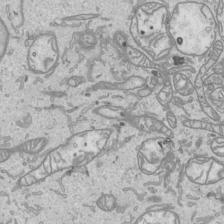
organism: Human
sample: Mitochondria in HCT116 cells